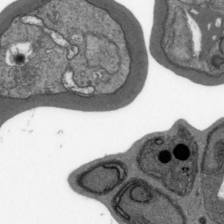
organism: Plasmodium falciparum